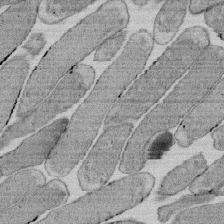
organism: E. coli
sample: Bacterial nucleoid